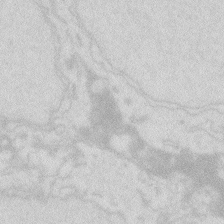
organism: Zebrafish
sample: Macrophage